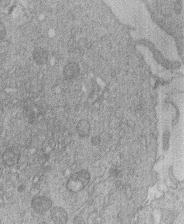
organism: Human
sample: Macrophage cells